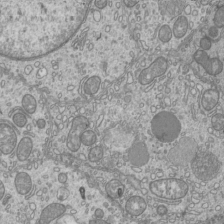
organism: Mouse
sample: Cilia; mouse epididymis